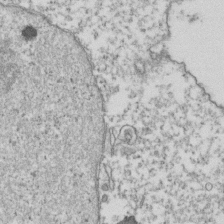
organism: Human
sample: Activated Jurkat CD4+ T cells